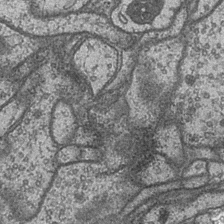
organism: Drosophila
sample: Optic medulla